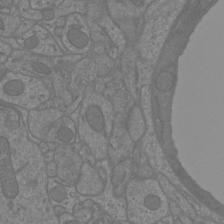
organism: Mouse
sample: Cortical neurons